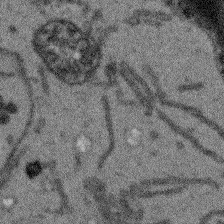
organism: Arabidopsis thaliana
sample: Root tip